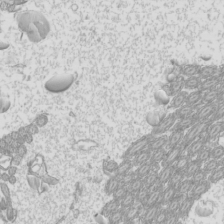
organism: Mouse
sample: Cilia; mouse epididymis